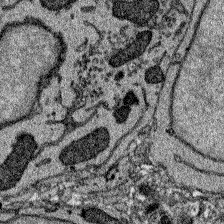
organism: Zebrafish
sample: Larval olfactory bulb